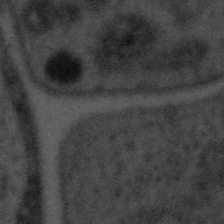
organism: Tuwongella immobilis